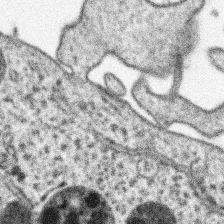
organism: Human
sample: HeLa cells